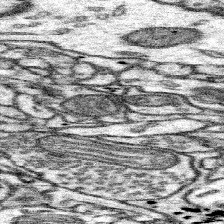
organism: Mouse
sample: Somatosensory cortex neuropil